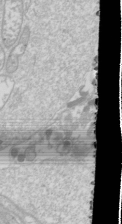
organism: Drosophila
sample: Cell division; meiosis; drosophila spermatocytes